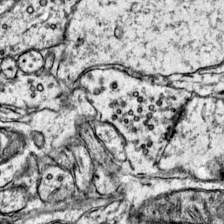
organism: Mouse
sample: Primary visual cortex